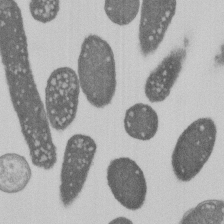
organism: E. coli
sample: Bacterial nucleoid